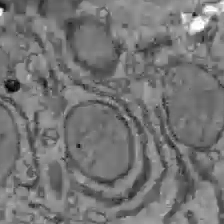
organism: C57BL Mouse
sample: Liver